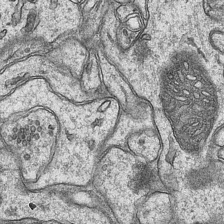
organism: Mouse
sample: CA1 Hippocampus